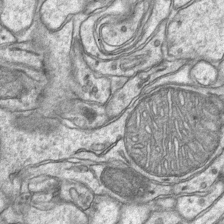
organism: Mouse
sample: CA1 Hippocampus